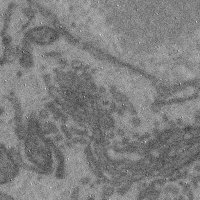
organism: Mouse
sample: Cerebral cortex